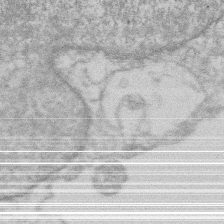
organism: Mouse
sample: T cell stromal cell synapse